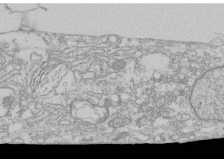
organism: Human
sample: CRL-1474